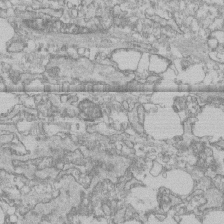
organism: Human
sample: CRL-1474